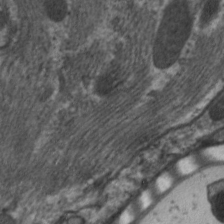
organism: C. elegans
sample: Pharynx